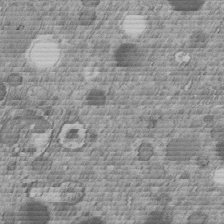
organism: C. elegans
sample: C. elegans embryo early stage